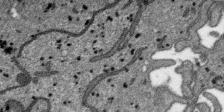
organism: Human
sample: Lung epithelial cells, uninfected (mock) control